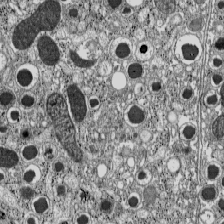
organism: C57BL Mouse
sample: Pancreatic islet